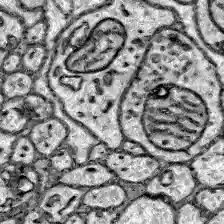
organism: Zebrafish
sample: Brain